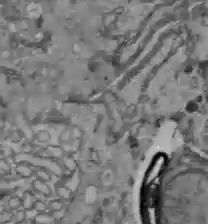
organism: C57BL Mouse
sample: Liver